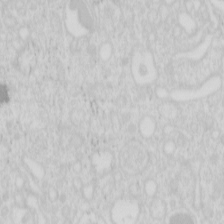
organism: Mouse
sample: Pancreas